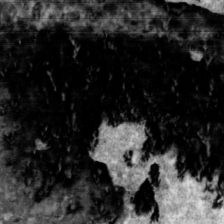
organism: Toxoplasma gondii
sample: Parasites in a vacuole inside a host cell